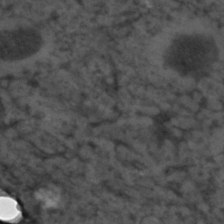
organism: C. elegans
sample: C. elegans embryo